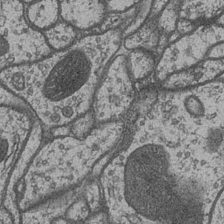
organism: Drosophila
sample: Optic medulla